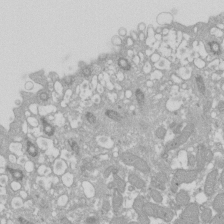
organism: Xenopus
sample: Cilia; centrioles in frog embryo cells